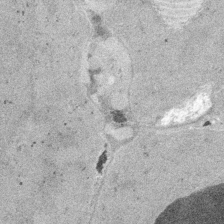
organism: Embia sp.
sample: Silk gland